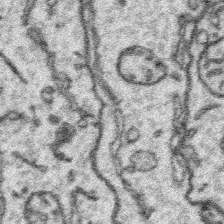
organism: Platynereis dumerilii